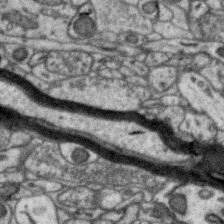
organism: Zebra finch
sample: Brain